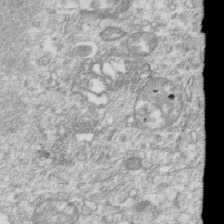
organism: Mouse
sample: Activated OT-1 CD8+ T cells